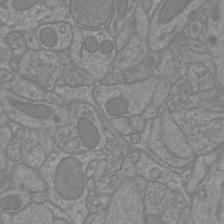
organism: Mouse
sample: Cortical neurons